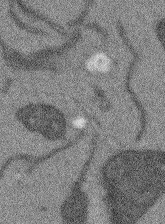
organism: Arabidopsis thaliana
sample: Root tip